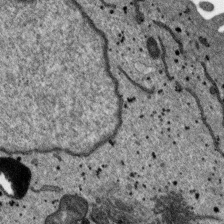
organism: Human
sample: Lung epithelial cells, uninfected (mock) control